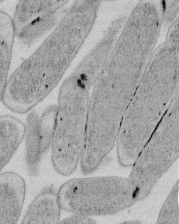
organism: E. coli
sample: Bacterial nucleoid